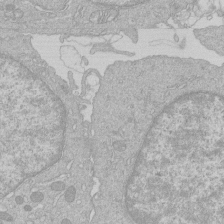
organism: Human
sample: Macrophage cells